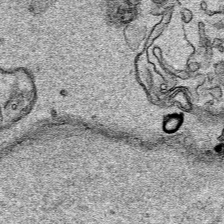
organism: Human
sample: Mitochondria in HCT116 cells